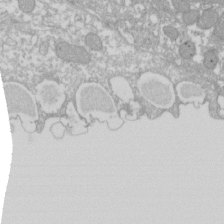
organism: Xenopus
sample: Cilia; centrioles in frog embryo cells